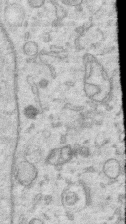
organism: Human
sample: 1205lu cells